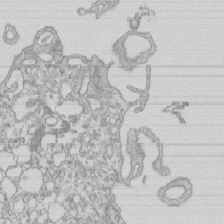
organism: Mouse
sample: Macrophages